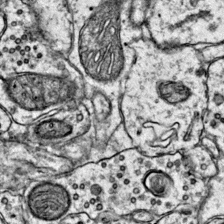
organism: Mouse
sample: Primary visual cortex